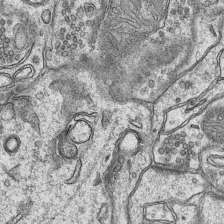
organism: Mouse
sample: CA1 Hippocampus